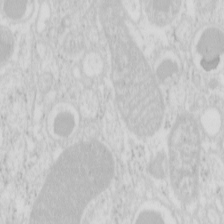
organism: Mouse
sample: Pancreas